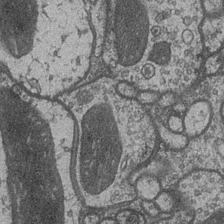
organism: Drosophila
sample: Optic medulla